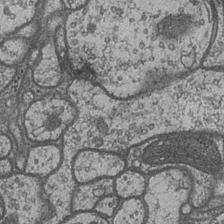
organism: Drosophila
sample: Optic medulla